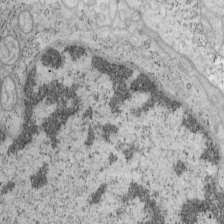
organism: Mouse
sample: OT-I killer T cells with ID8 ovarian cancer cells